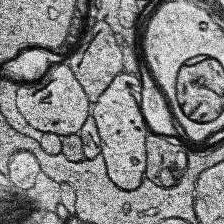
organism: Human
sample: Temporal Lobe